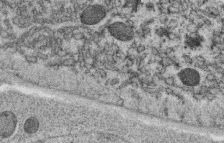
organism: C. elegans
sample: C. elegans oocyte; sperm cells